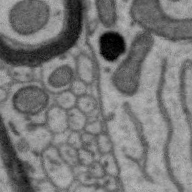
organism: Zebra finch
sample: Brain